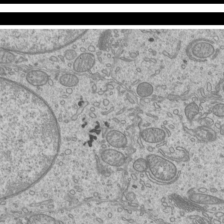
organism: Mouse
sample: Cilia; mouse epididymis